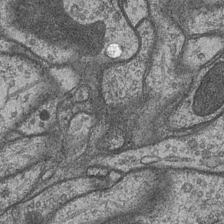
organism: Drosophila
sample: Optic medulla